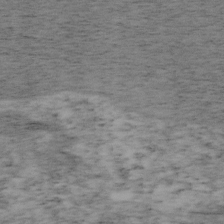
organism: Mouse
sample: OT-I killer T cells with ID8 ovarian cancer cells